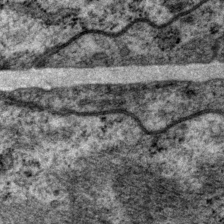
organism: P. pacificus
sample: Pharynx